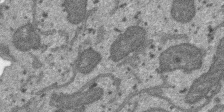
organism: Human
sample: Lung epithelial cells infected with SARS-CoV-2